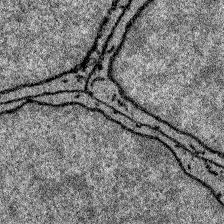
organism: Zebrafish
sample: Larval olfactory bulb